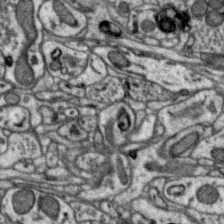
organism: Zebra finch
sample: Brain